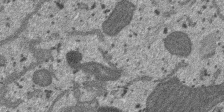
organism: Human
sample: Lung epithelial cells infected with SARS-CoV-2